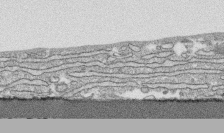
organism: Human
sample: CRL-1474